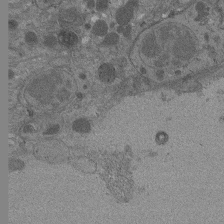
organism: Drosophila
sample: Antenna